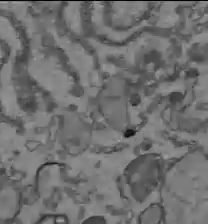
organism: C57BL Mouse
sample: Liver